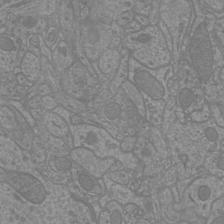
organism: Mouse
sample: Cortical neurons